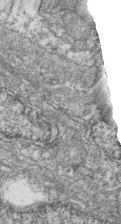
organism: Zebrafish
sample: Cilia; retinal pigment epithelium